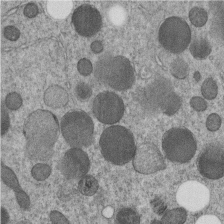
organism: C. elegans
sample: C. elegans embryo early stage